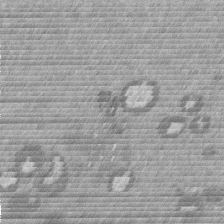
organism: Mouse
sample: Dividing mouse embryo 1 cell stage